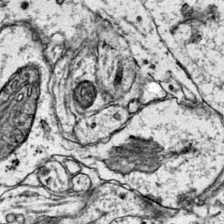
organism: Mouse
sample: Primary visual cortex